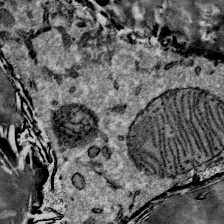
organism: Mouse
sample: Mouse Salivary gland